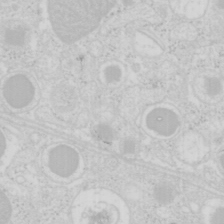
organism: Mouse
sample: Pancreas